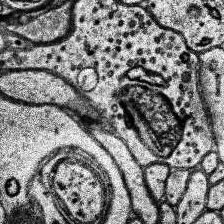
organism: Human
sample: Temporal Lobe